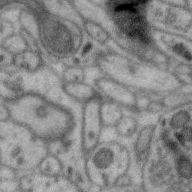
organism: Zebra finch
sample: Brain